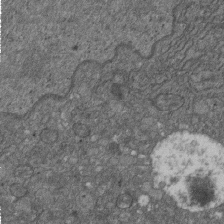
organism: Drosophila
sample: Nephrocyte